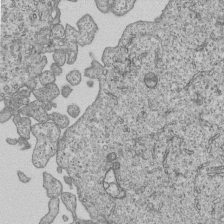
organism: Human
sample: MDA-MB-231 cells